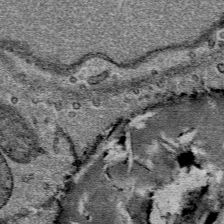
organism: Mouse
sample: Mouse Salivary gland